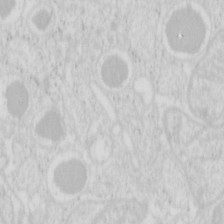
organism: Mouse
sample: Pancreas